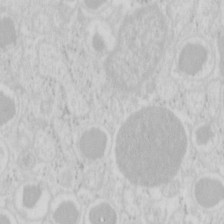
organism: Mouse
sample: Pancreas